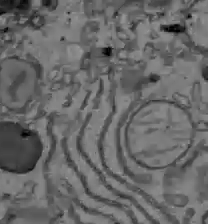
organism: C57BL Mouse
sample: Liver